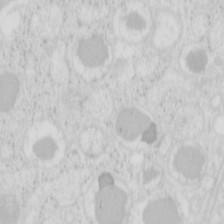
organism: Mouse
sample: Pancreas